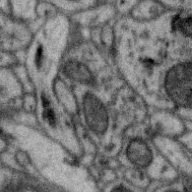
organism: Zebra finch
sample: Brain